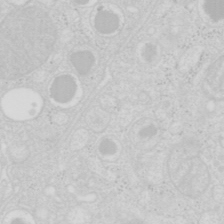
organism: Mouse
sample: Pancreas